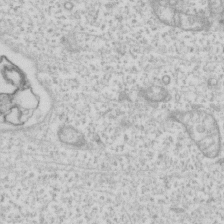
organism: Human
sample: Fibroblast cells